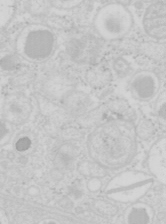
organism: Mouse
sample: Pancreas